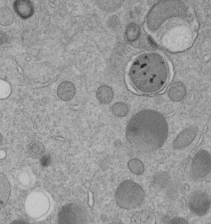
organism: C. elegans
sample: C. elegans embryo early stage